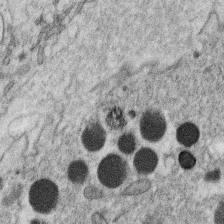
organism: C. elegans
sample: C. elegans oocyte; sperm cells